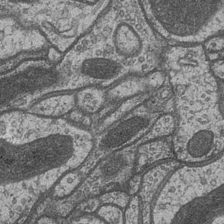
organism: Drosophila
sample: Optic medulla